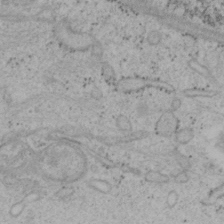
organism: Human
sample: HeLa cells